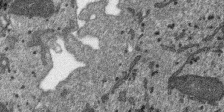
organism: Human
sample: Lung epithelial cells infected with SARS-CoV-2